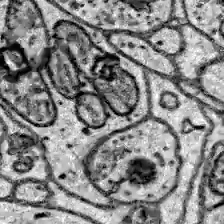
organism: Zebrafish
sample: Brain